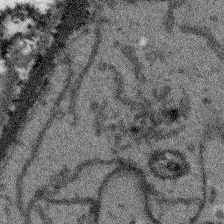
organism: Arabidopsis thaliana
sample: Root tip